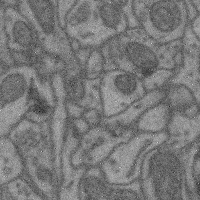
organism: Mouse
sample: Cerebral cortex